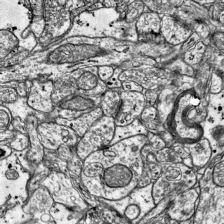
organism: Mouse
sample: Visual Cortex